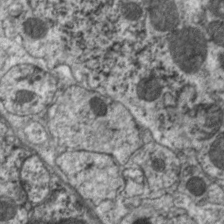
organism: C. elegans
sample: Pharynx